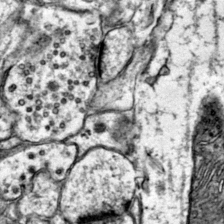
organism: Mouse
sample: Primary visual cortex